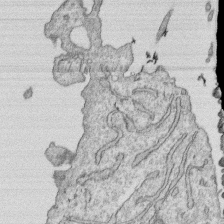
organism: Human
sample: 1205lu cells